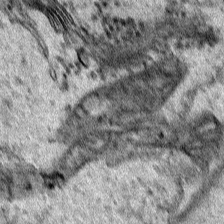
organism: Human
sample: Mitochondria in HCT116 cells